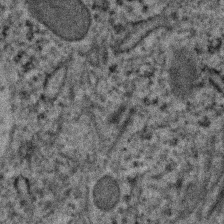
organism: Human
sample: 1205lu cells